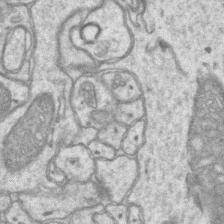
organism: Mouse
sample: CA1 Hippocampus